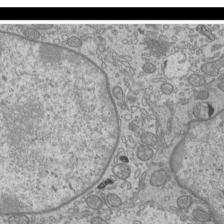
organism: Mouse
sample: Cilia; mouse epididymis